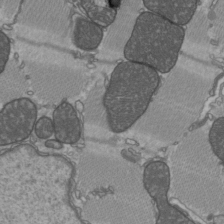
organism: C57BL Mouse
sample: Heart